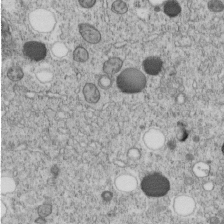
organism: C. elegans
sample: C. elegans embryo early stage